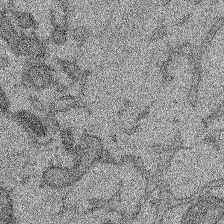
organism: Human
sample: HeLa cells